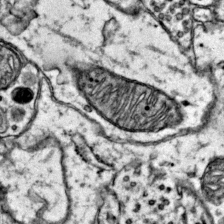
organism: Mouse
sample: Primary visual cortex